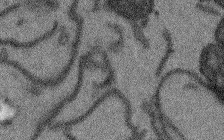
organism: Arabidopsis thaliana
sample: Root tip